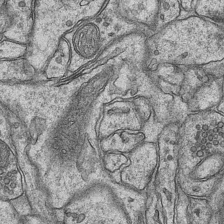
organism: Mouse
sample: CA1 Hippocampus